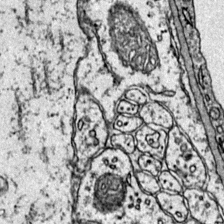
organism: Mouse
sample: Primary visual cortex